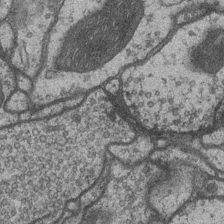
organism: Drosophila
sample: Optic medulla